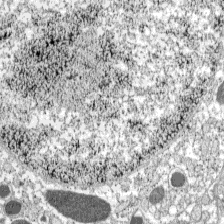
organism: C57BL Mouse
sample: Pancreatic islet